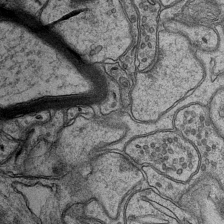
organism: Mouse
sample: CA1 Hippocampus